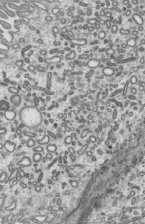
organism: Mouse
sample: Mouse epididymis efferent ductule cilia